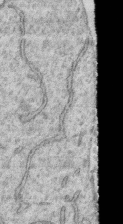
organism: Human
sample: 1205lu cells